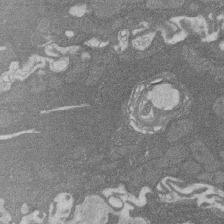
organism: Rat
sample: Salivary granule